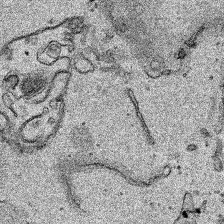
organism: Human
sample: Mitochondria in HCT116 cells